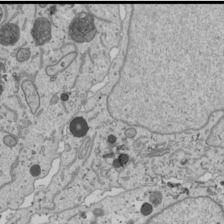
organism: Human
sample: Mitochondria in U2OS cells